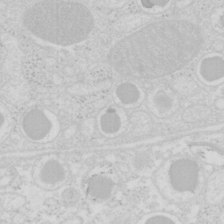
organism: Mouse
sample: Pancreas